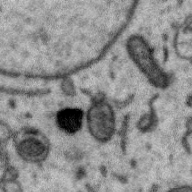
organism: Zebra finch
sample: Brain